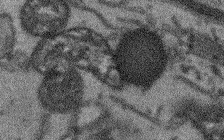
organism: Arabidopsis thaliana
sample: Root tip